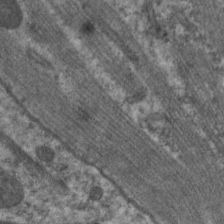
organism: C. elegans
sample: Pharynx